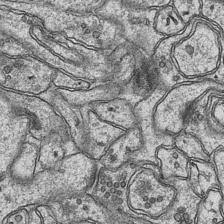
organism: Mouse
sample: CA1 Hippocampus